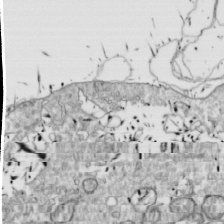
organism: Drosophila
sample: Cell division; meiosis; drosophila spermatocytes